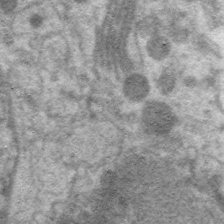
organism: C. elegans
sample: Pharynx